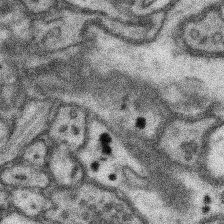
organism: Mouse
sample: Somatosensory cortex neuropil